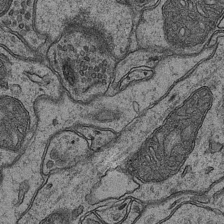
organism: Mouse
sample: CA1 Hippocampus